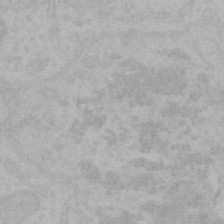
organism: Mouse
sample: Choroid plexus